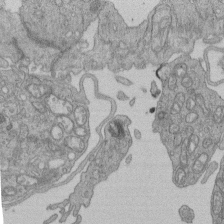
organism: Human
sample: Retinal organoid Rod and Cone cells